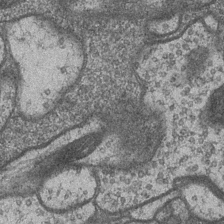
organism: Drosophila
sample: Optic medulla